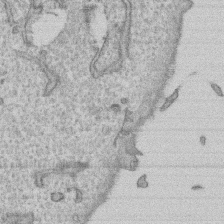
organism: Human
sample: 1205lu cells